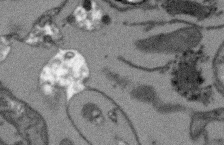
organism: Arabidopsis thaliana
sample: Root tip